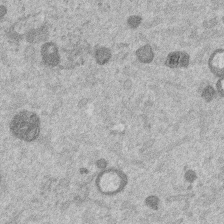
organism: Mouse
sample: Dividing mouse embryo 1 cell stage